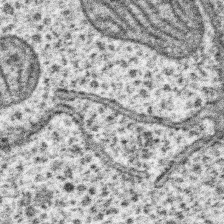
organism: Human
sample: HeLa cells